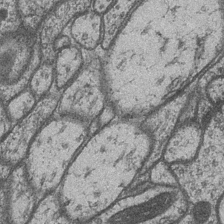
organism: Drosophila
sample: Optic medulla